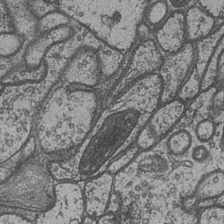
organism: Drosophila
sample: Optic medulla